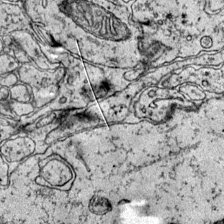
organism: Mouse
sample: Primary visual cortex